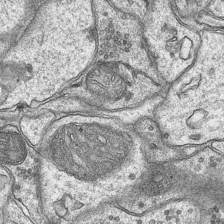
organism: Mouse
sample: CA1 Hippocampus